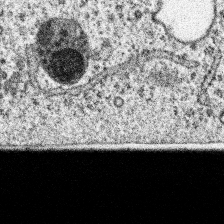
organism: Human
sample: HeLa cells